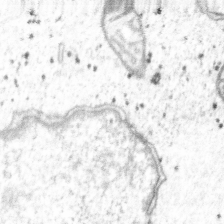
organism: Human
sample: HeLa cells